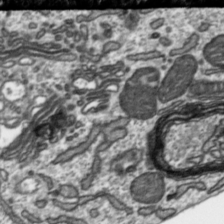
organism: Toxoplasma gondii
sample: Parasites in a vacuole inside a host cell